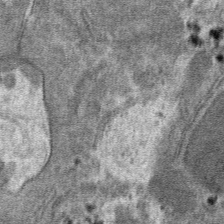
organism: Mouse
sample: Mouse hepatocytes